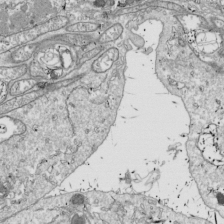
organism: Drosophila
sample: Cell division; meiosis; drosophila spermatocytes